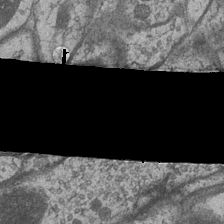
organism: Drosophila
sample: Optic medulla